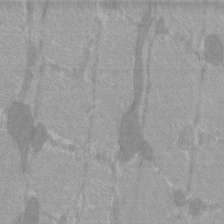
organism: C57BL Mouse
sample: Tibialis anterior muscle cell